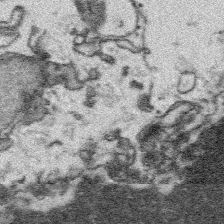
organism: Platynereis dumerilii